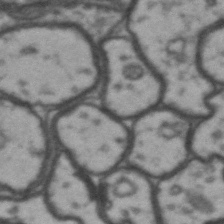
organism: Drosophila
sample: Brain